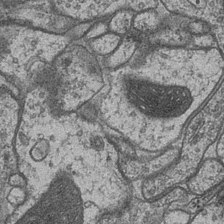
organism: Drosophila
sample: Optic medulla